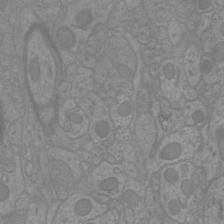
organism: Mouse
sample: Cortical neurons